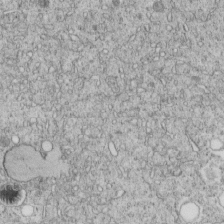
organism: C. elegans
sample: C. elegans embryo early stage